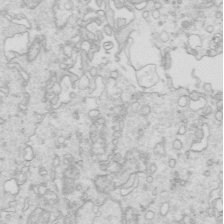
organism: Mouse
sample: Multiciliated cells